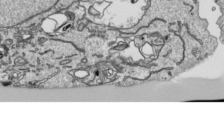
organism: Human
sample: Mitochondria in HCT116 cells